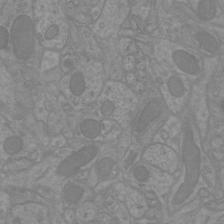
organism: Mouse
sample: Cortical neurons